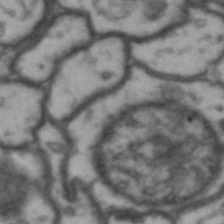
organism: Drosophila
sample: Brain